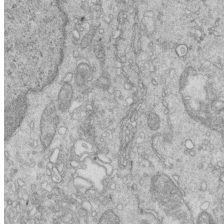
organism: Mouse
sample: Multiciliated cells